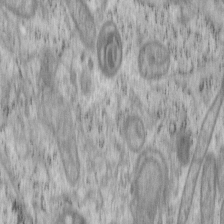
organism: Human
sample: HeLa cells